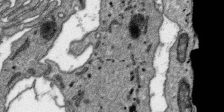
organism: Human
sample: Lung epithelial cells, uninfected (mock) control